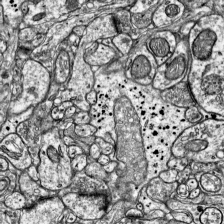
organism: Mouse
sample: Visual Cortex